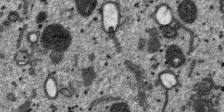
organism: Human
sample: Lung epithelial cells infected with SARS-CoV-2